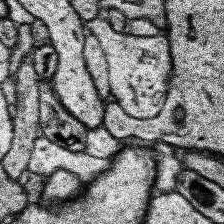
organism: Human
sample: Temporal Lobe